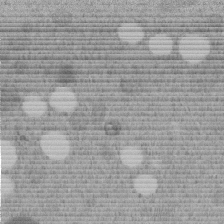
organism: C. elegans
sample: C. elegans embryo early stage